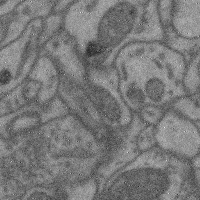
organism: Mouse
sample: Cerebral cortex